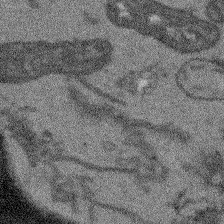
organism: Arabidopsis thaliana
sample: Root tip